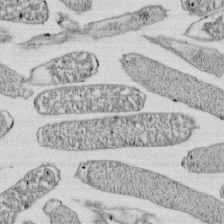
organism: E. coli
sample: Bacterial nucleoid